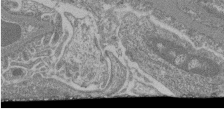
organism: Mouse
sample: Glomerulus